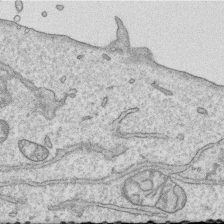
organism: Human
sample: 1205lu cells